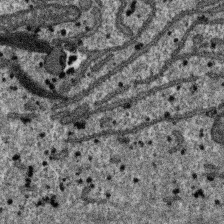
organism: Human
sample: Lung epithelial cells infected with SARS-CoV-2